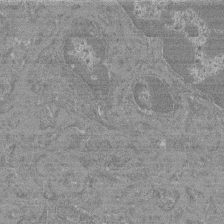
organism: Mouse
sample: Glomerulus